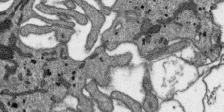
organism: Human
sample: Lung epithelial cells, uninfected (mock) control